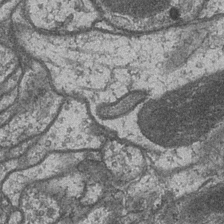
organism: Drosophila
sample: Optic medulla